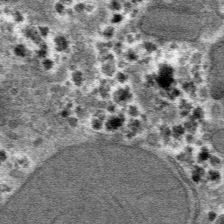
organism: Mouse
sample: Mouse hepatocytes